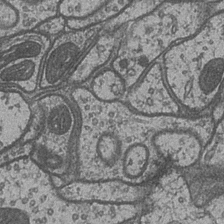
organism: Drosophila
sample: Optic medulla